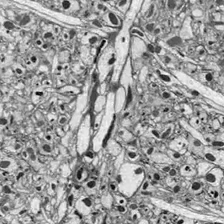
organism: Drosophila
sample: Optic lobe